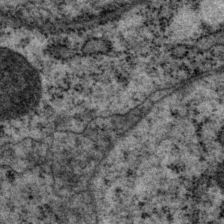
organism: P. pacificus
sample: Pharynx